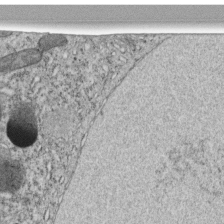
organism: C. elegans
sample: C. elegans embryo early stage